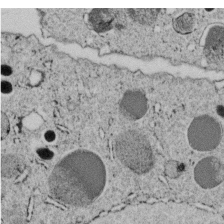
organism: C. elegans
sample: C. elegans embryo early stage